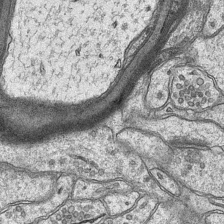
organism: Mouse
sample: CA1 Hippocampus